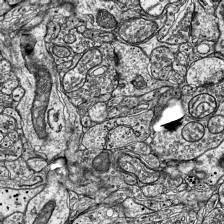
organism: Mouse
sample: Visual Cortex